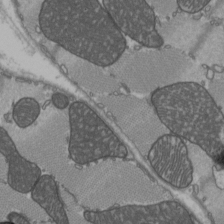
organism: C57BL Mouse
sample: Heart